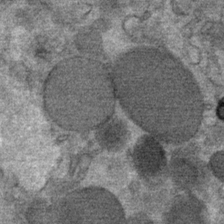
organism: Mouse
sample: Mouse Salivary gland